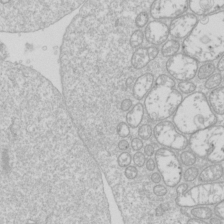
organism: Drosophila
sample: Cell division; meiosis; drosophila spermatocytes